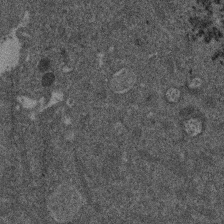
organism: Mouse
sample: Dividing mouse embryo 1 cell stage